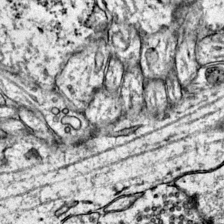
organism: Mouse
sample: Primary visual cortex